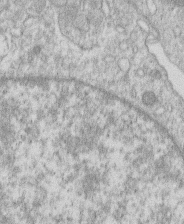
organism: Human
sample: Macrophage cells